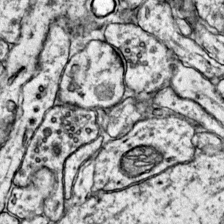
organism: Mouse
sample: Primary visual cortex